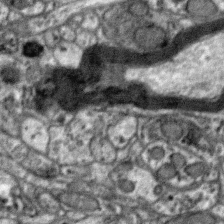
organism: Zebra finch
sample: Brain